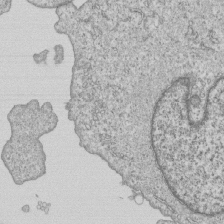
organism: Human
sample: MDA-MB-231 cells